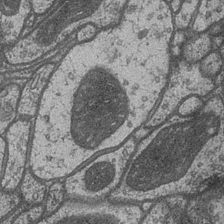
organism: Drosophila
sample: Optic medulla